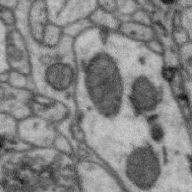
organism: Zebra finch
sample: Brain